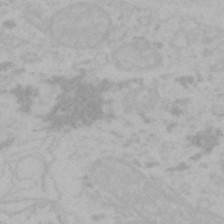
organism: Mouse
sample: Choroid plexus